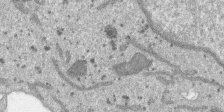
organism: Human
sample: Lung epithelial cells infected with SARS-CoV-2